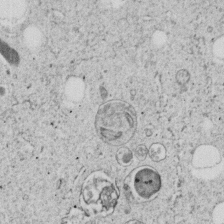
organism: C. elegans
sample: C. elegans embryo early stage